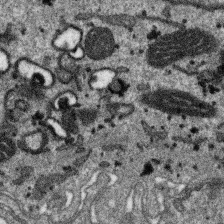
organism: Human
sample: Lung epithelial cells infected with SARS-CoV-2